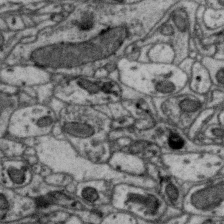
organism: Zebra finch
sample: Brain